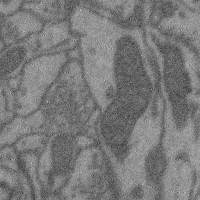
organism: Mouse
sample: Cerebral cortex